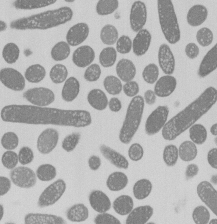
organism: E. coli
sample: Bacterial nucleoid